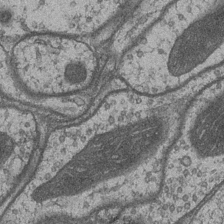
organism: Drosophila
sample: Optic medulla